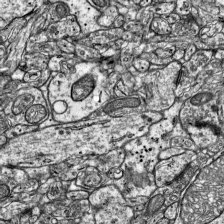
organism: Mouse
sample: Visual Cortex